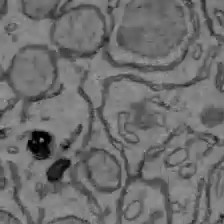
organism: C57BL Mouse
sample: Liver